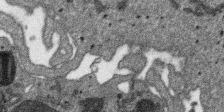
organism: Human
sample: Lung epithelial cells infected with SARS-CoV-2